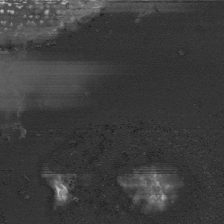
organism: Human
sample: Mitochondria in HCT116 cells